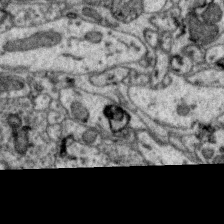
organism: Zebra finch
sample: Brain